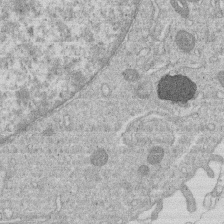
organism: Human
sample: Macrophage cells